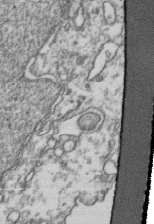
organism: Human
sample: Activated Jurkat CD4+ T cells